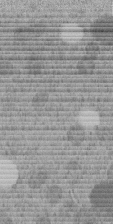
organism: C. elegans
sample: C. elegans embryo early stage